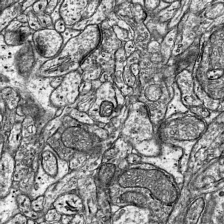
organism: Mouse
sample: Visual Cortex